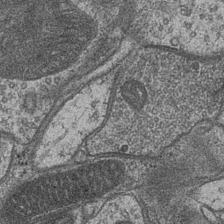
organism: Drosophila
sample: Optic medulla